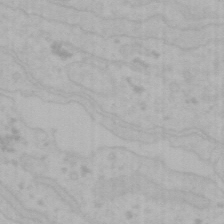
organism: Mouse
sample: Choroid plexus